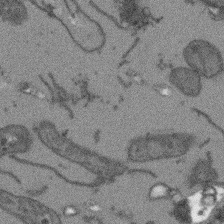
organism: Arabidopsis thaliana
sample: Root tip